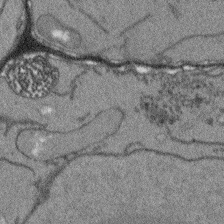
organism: Arabidopsis thaliana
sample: Root tip